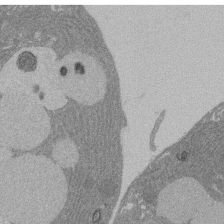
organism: Rat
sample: Salivary granule